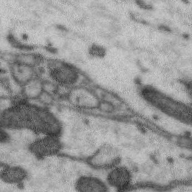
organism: Zebra finch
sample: Brain